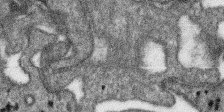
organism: Human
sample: Lung epithelial cells infected with SARS-CoV-2